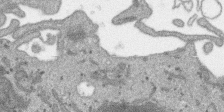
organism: Human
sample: Lung epithelial cells infected with SARS-CoV-2